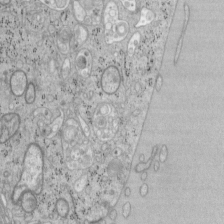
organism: Mouse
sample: OT-I killer T cells with ID8 ovarian cancer cells